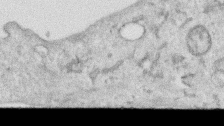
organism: Human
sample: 1205lu cells